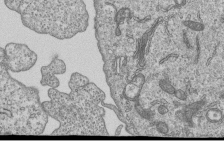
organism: Human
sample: MDA-MB-231 cells